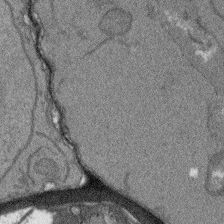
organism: Arabidopsis thaliana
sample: Root tip